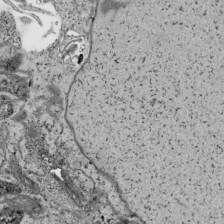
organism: Human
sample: Mitochondria in HCT116 cells